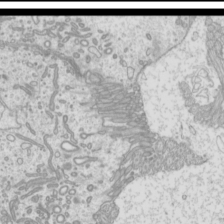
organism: Mouse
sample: Cilia; mouse epididymis